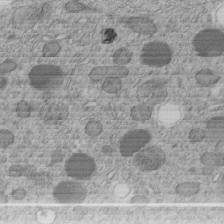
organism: C. elegans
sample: C. elegans embryo early stage